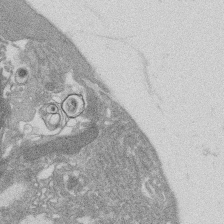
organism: Rat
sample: Salivary granule